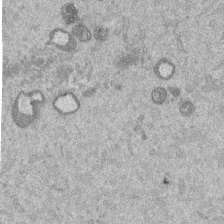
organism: Mouse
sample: Dividing mouse embryo 1 cell stage